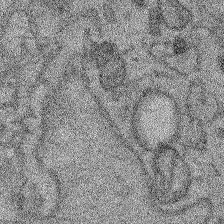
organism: Human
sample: HeLa cells